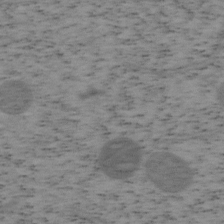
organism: Mouse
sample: OT-I killer T cells with ID8 ovarian cancer cells